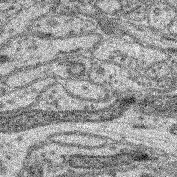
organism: Mouse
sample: Retina